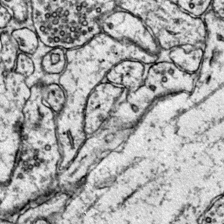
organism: Mouse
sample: Primary visual cortex